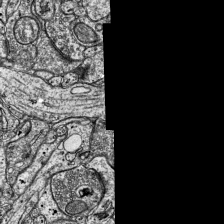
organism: Mouse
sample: Visual Cortex